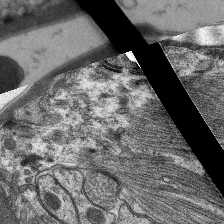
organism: C. elegans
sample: Pharynx